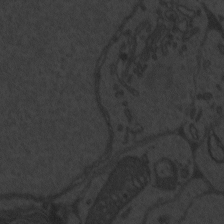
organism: Zebrafish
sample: Macrophage infected with Toxoplasma gondii